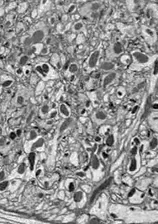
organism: Drosophila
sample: Optic lobe